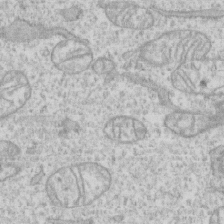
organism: Human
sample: CRL-1474